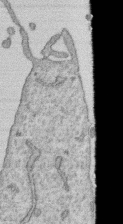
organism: Human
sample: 1205lu cells